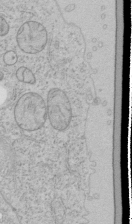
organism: Human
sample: Mitochondria in HCT116 cells